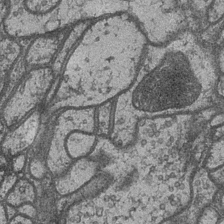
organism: Drosophila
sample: Optic medulla